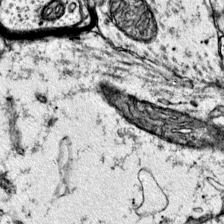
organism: Mouse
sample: Primary visual cortex